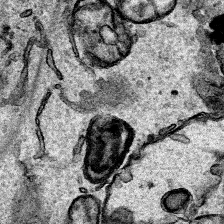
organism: Human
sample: Mitochondria in HCT116 cells